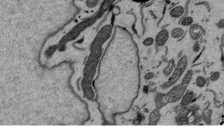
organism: Mouse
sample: ED-1 cell nuclei; centrioles